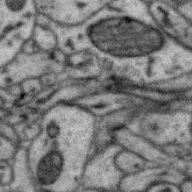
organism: Zebra finch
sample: Brain